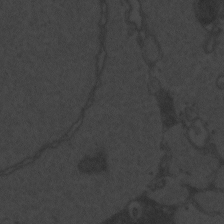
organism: Zebrafish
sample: Macrophage infected with Toxoplasma gondii